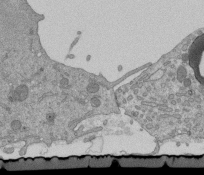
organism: Mouse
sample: ED-1 cell nuclei; centrioles